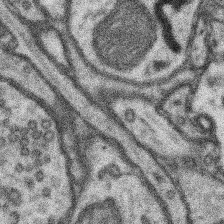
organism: Mouse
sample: Somatosensory cortex neuropil